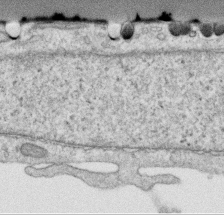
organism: Human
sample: Centriole in RPE cells